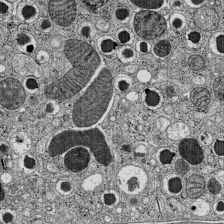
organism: C57BL Mouse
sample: Pancreatic islet